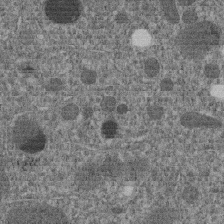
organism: C. elegans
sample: C. elegans embryo early stage